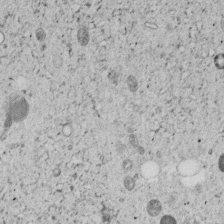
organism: C. elegans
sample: C. elegans embryo early stage